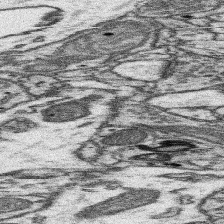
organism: Mouse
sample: Somatosensory cortex neuropil